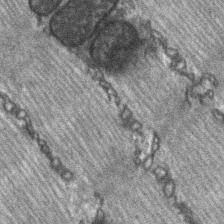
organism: C57BL Mouse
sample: Soleus